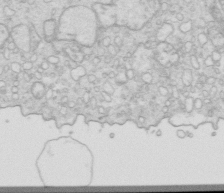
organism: Mouse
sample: Multiciliated cells